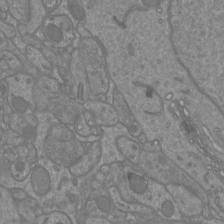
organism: Mouse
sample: Cortical neurons